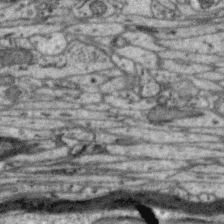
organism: Zebra finch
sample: Brain